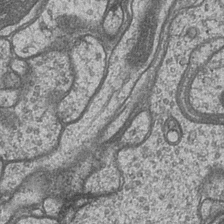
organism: Drosophila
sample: Optic medulla